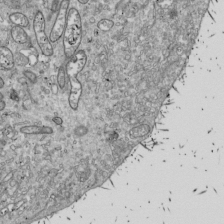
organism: Drosophila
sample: Cell division; meiosis; drosophila spermatocytes